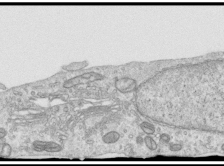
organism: Human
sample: Centriole in RPE cells